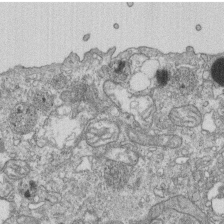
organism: Human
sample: HeLa cell HIV synapse